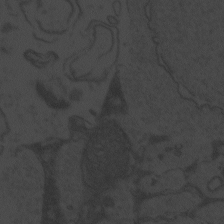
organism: Zebrafish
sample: Macrophage infected with Toxoplasma gondii